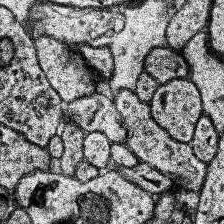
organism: Human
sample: Temporal Lobe